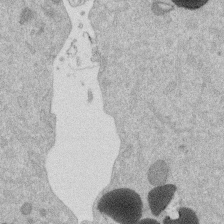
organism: Mouse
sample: Dividing mouse embryo 1 cell stage